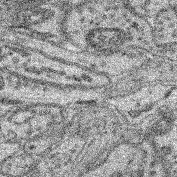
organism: Mouse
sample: Retina